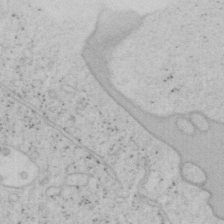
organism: Human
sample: HeLa cells